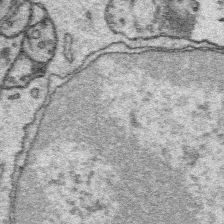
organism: Platynereis dumerilii